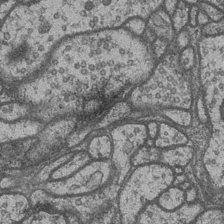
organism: Drosophila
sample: Optic medulla